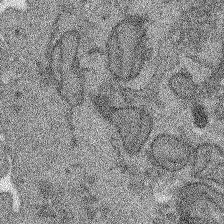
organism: Human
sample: HeLa cells